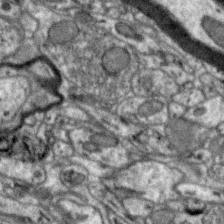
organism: Zebra finch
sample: Brain